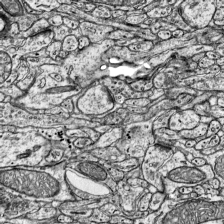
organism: Mouse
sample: Visual Cortex